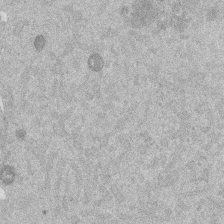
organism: Mouse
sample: Dividing mouse embryo 1 cell stage